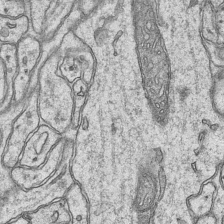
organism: Mouse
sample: CA1 Hippocampus